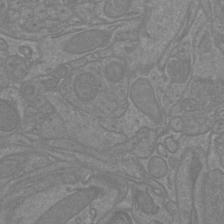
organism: Mouse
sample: Cortical neurons